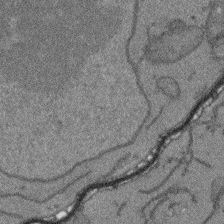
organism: Arabidopsis thaliana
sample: Root tip